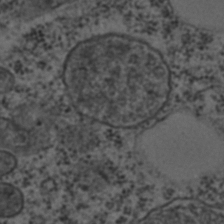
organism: C. elegans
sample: C. elegans embryo